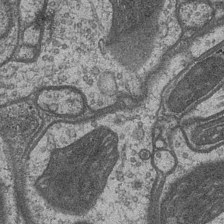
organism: Drosophila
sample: Optic medulla